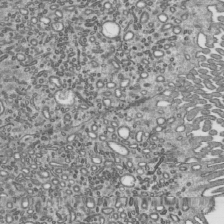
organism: Mouse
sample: Mouse epididymis efferent ductule cilia